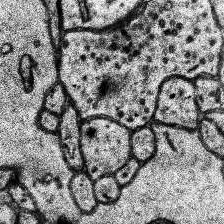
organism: Human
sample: Temporal Lobe